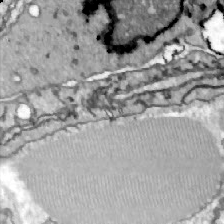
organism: Zebrafish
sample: Actinotrichia fibers